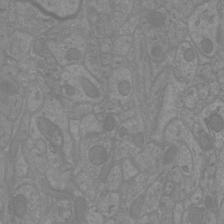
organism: Mouse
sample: Cortical neurons